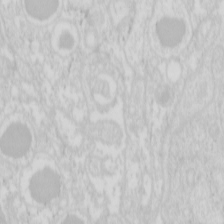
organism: Mouse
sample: Pancreas